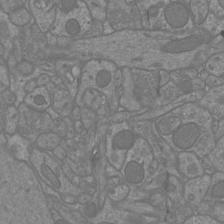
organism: Mouse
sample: Cortical neurons